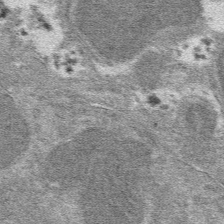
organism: Mouse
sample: Mouse hepatocytes